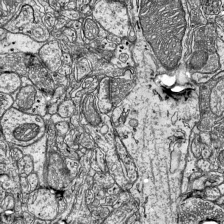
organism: Mouse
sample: Visual Cortex